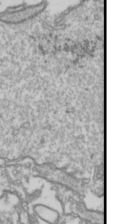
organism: Drosophila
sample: Cell division; meiosis; drosophila spermatocytes